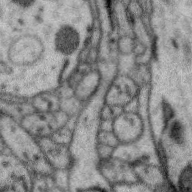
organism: Zebra finch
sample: Brain